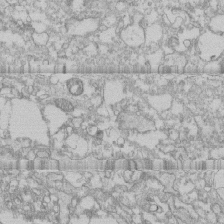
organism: Human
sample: CRL-1474